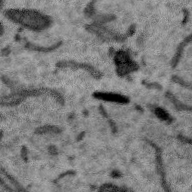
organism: Zebra finch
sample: Brain